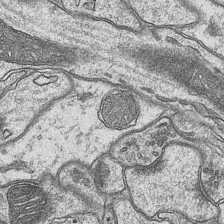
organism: Mouse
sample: CA1 Hippocampus